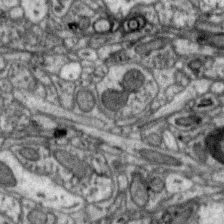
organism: Zebra finch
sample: Brain